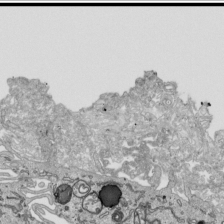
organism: Human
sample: Mitochondria in HCT116 cells